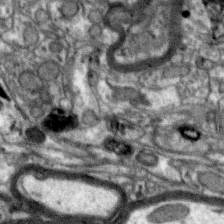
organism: Zebra finch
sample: Brain